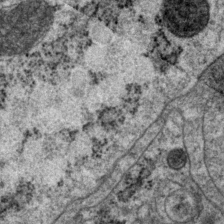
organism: P. pacificus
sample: Pharynx